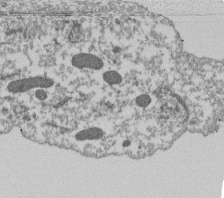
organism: Dictyostelium discoideum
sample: Dictyostelium multivesicular bodies